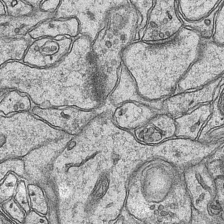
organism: Mouse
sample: CA1 Hippocampus